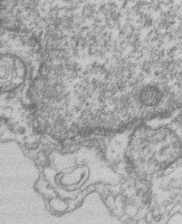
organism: Mouse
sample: T cell stromal cell synapse